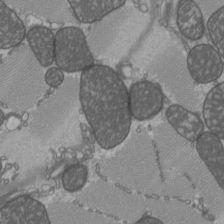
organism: C57BL Mouse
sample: Heart